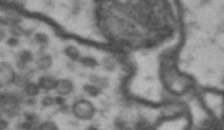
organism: Drosophila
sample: Brain